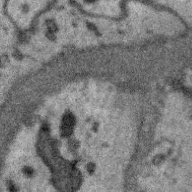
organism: Zebra finch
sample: Brain